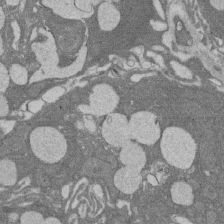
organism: Rat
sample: Salivary granule